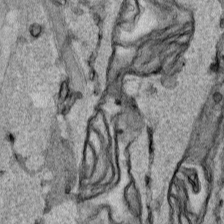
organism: Human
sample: Mitochondria in HCT116 cells